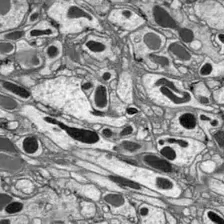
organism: Drosophila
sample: Optic lobe